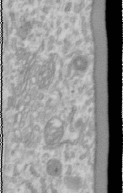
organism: Human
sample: Cilia; basal body in RPE cells